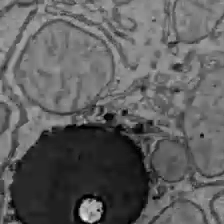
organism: C57BL Mouse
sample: Liver